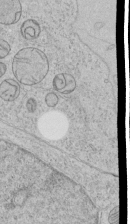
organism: Human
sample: Mitochondria in HCT116 cells